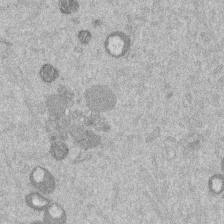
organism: Mouse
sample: Dividing mouse embryo 1 cell stage